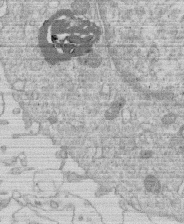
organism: Human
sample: Macrophage cells